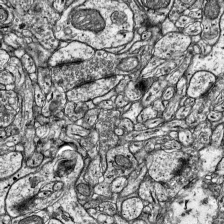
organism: Mouse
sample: Visual Cortex